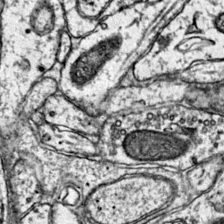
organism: Mouse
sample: Primary visual cortex